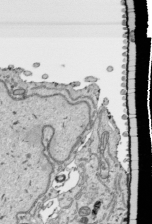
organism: Human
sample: Mitochondria in HCT116 cells